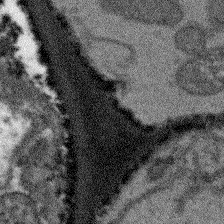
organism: Arabidopsis thaliana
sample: Root tip